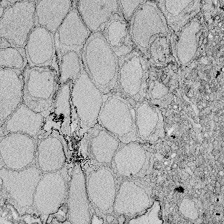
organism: Zebrafish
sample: Whole-Brain